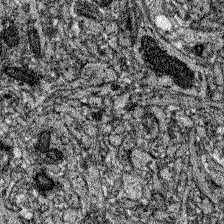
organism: Zebrafish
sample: Larval olfactory bulb